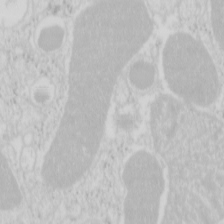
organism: Mouse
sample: Pancreas